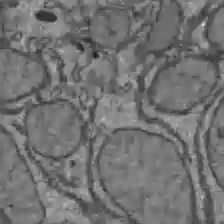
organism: C57BL Mouse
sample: Liver